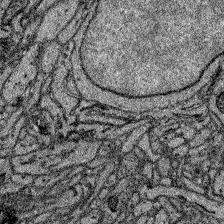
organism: Zebrafish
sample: Larval olfactory bulb